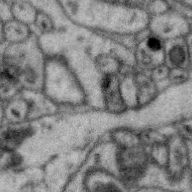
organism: Zebra finch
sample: Brain